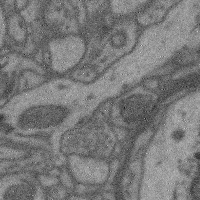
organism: Mouse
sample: Cerebral cortex